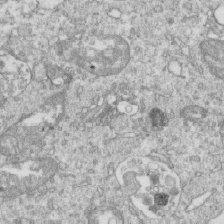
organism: Mouse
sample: Activated OT-1 CD8+ T cells